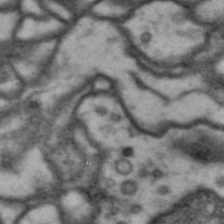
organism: Drosophila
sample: Brain